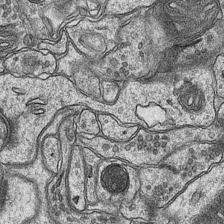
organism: Mouse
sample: CA1 Hippocampus